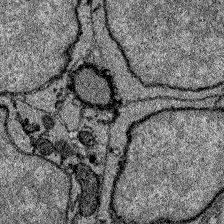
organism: Zebrafish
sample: Larval olfactory bulb